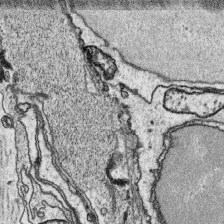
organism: Platynereis dumerilii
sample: Parapodia